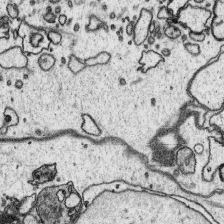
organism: Platynereis dumerilii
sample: Parapodia